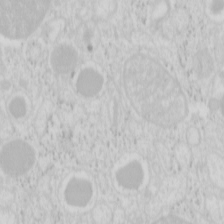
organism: Mouse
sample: Pancreas